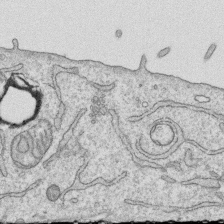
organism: Human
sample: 1205lu cells